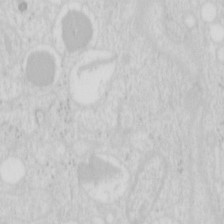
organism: Mouse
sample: Pancreas